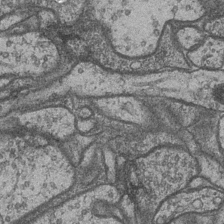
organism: Drosophila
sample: Optic medulla